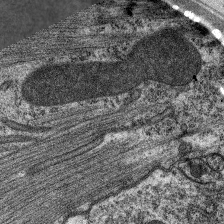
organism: C. elegans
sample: Pharynx